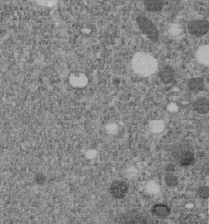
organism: C. elegans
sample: C. elegans embryo early stage